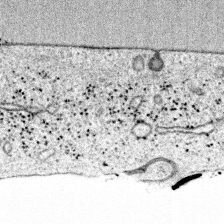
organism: Human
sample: HeLa cells